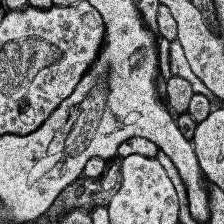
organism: Human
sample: Temporal Lobe